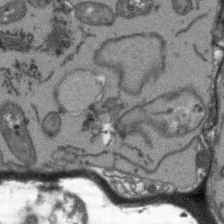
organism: Arabidopsis thaliana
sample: Root tip